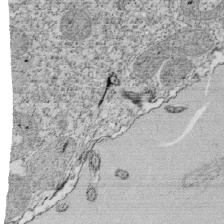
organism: Tetrahymena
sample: Cilia in tetrahymena